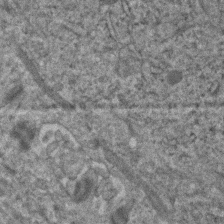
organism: Human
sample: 1205lu cells